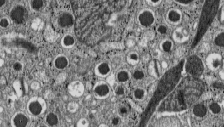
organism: C57BL Mouse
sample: Pancreatic islet